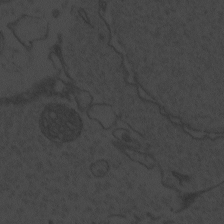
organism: Zebrafish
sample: Macrophage infected with Toxoplasma gondii